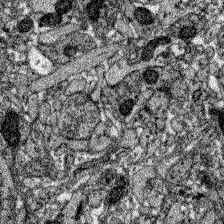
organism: Zebrafish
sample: Larval olfactory bulb